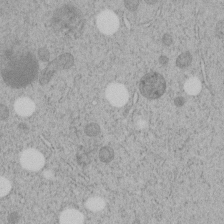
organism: C. elegans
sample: C. elegans embryo early stage